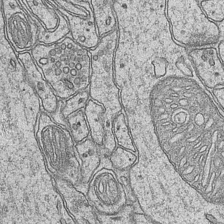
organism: Mouse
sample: CA1 Hippocampus